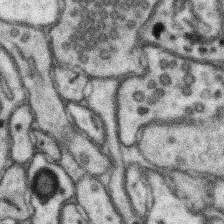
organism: Mouse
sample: Somatosensory cortex neuropil